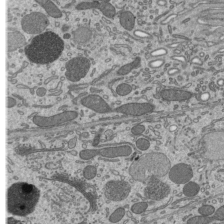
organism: Mouse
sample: Mouse epididymis efferent ductule cilia